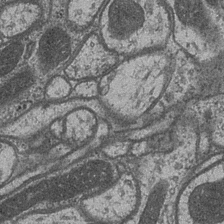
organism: Drosophila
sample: Optic medulla